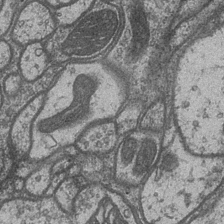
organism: Drosophila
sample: Optic medulla